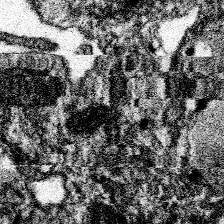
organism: Spongilla lacustris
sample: Neuroid cell